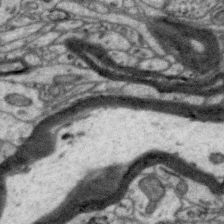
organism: Zebra finch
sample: Brain